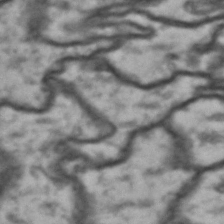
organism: Drosophila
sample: Brain